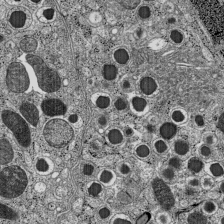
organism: C57BL Mouse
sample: Pancreatic islet